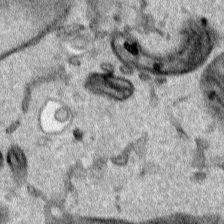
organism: Human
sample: Mitochondria in HCT116 cells